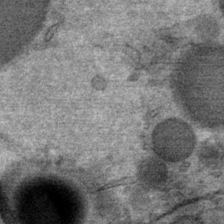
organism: Mouse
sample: Mouse Salivary gland